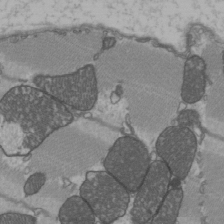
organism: C57BL Mouse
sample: Heart